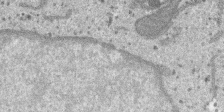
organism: Human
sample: Lung epithelial cells infected with SARS-CoV-2